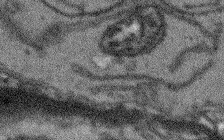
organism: Arabidopsis thaliana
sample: Root tip